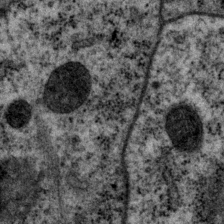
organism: P. pacificus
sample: Pharynx